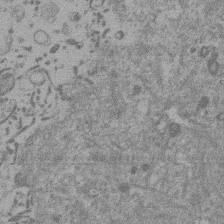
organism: Mouse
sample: Dividing mouse embryo 1 cell stage